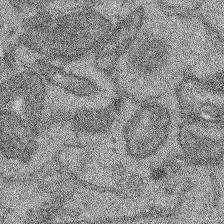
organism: Human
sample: HeLa cells